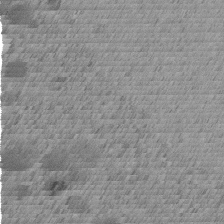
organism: C. elegans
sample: C. elegans embryo early stage